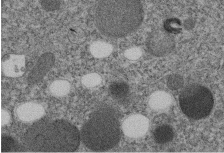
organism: C. elegans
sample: C. elegans embryo early stage